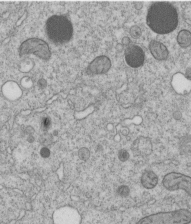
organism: C. elegans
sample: C. elegans embryo early stage